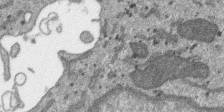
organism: Human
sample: Lung epithelial cells infected with SARS-CoV-2